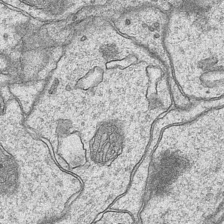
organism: Mouse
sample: CA1 Hippocampus